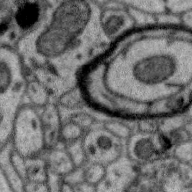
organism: Zebra finch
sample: Brain